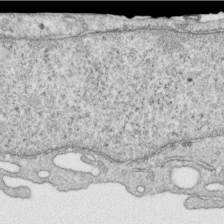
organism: Human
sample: Centriole in RPE cells